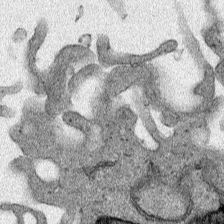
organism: Human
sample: Mitochondria in HCT116 cells